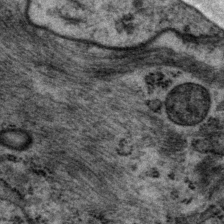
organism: P. pacificus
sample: Pharynx